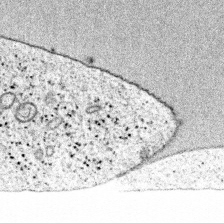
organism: Human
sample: HeLa cells